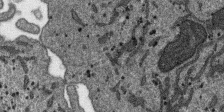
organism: Human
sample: Lung epithelial cells infected with SARS-CoV-2